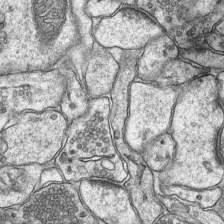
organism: Mouse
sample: CA1 Hippocampus